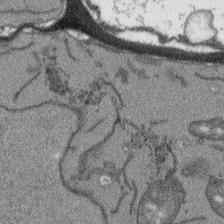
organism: Arabidopsis thaliana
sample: Root tip